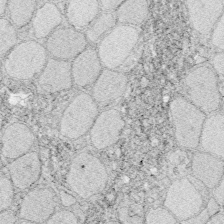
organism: Zebrafish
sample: Whole-Brain